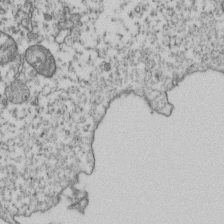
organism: Human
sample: Activated Jurkat CD4+ T cells